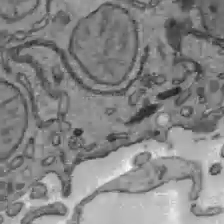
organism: C57BL Mouse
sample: Liver